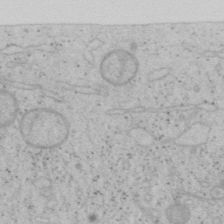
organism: Human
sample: HeLa cells